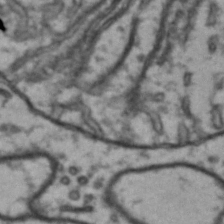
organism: Drosophila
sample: Brain